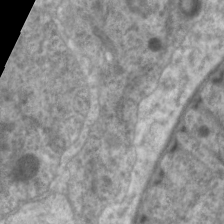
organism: C. elegans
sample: Pharynx